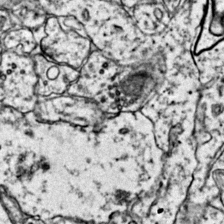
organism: Mouse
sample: Primary visual cortex